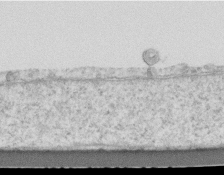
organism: Mouse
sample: Centriole in ependymal cells